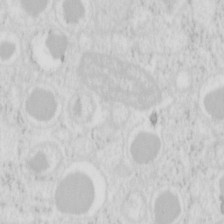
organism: Mouse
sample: Pancreas